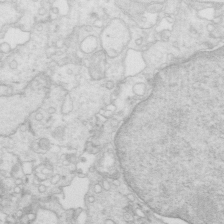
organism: Mouse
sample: Multiciliated cells